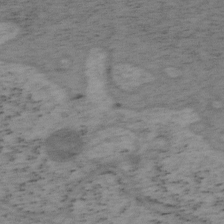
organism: Mouse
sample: OT-I killer T cells with ID8 ovarian cancer cells